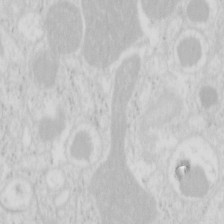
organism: Mouse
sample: Pancreas